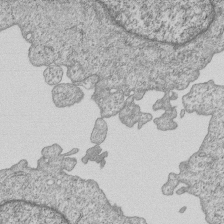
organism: Human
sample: MDA-MB-231 cells